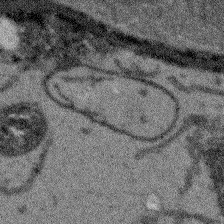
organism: Arabidopsis thaliana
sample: Root tip